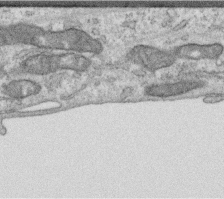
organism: Human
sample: Centriole in RPE cells